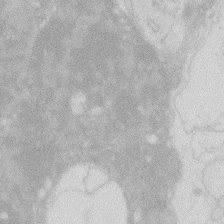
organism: Zebrafish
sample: Macrophage